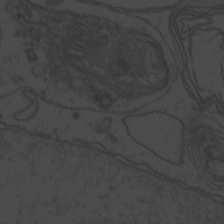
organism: Zebrafish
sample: Macrophage infected with Toxoplasma gondii